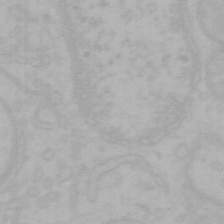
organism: Mouse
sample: Choroid plexus